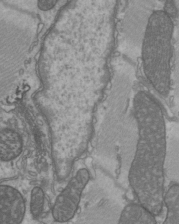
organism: C57BL Mouse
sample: Heart